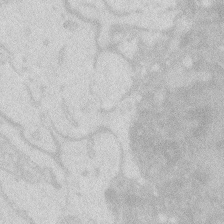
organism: Zebrafish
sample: Macrophage